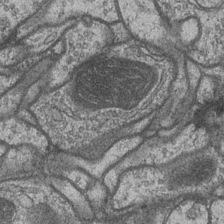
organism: Drosophila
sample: Optic medulla